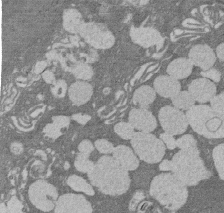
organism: Rat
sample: Salivary granule